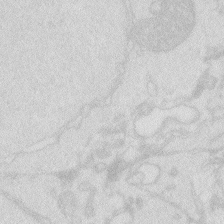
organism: Zebrafish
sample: Macrophage